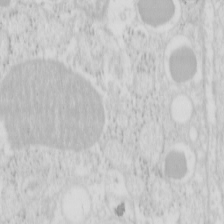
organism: Mouse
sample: Pancreas